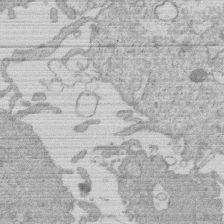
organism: Human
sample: Macrophage cells